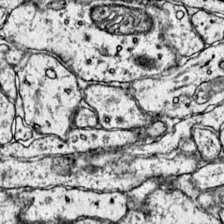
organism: Mouse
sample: Primary visual cortex